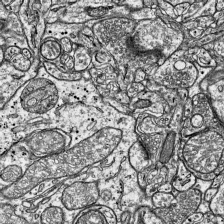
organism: Mouse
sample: Visual Cortex